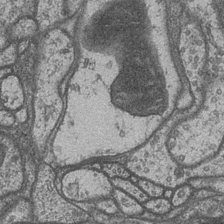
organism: Drosophila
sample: Optic medulla